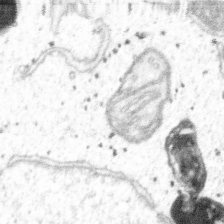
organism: Human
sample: HeLa cells